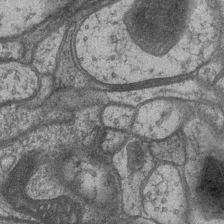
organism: Drosophila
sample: Optic medulla